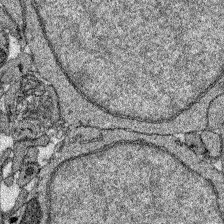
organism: Zebrafish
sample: Larval olfactory bulb